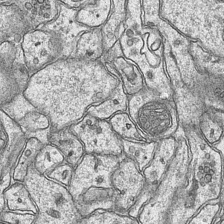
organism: Mouse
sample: CA1 Hippocampus